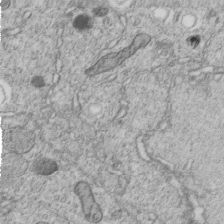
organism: C. elegans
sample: C. elegans embryo early stage